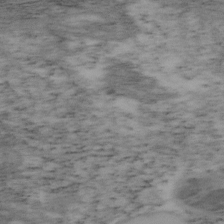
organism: Mouse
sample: OT-I killer T cells with ID8 ovarian cancer cells